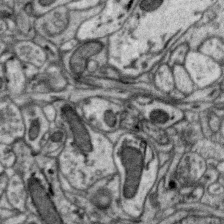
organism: Zebra finch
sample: Brain